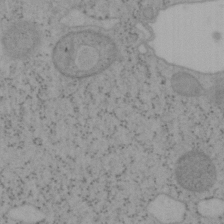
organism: Mouse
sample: OT-I killer T cells with ID8 ovarian cancer cells